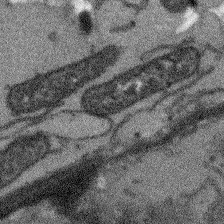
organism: Arabidopsis thaliana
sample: Root tip